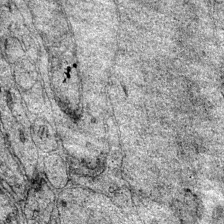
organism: Mouse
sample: Primary visual cortex